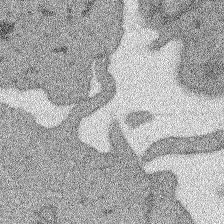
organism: Human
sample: HeLa cells